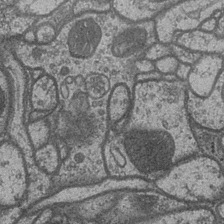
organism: Drosophila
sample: Optic medulla